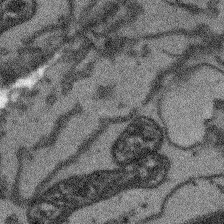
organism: Arabidopsis thaliana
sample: Root tip